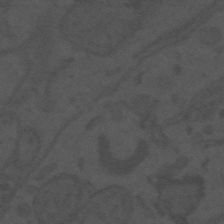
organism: Mouse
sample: Suprachiasmatic nucleus